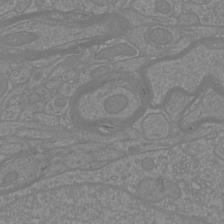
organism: Mouse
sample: Cortical neurons